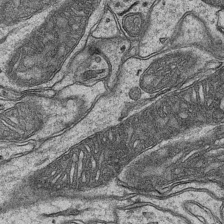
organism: Mouse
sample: CA1 Hippocampus